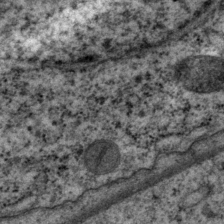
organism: P. pacificus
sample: Pharynx